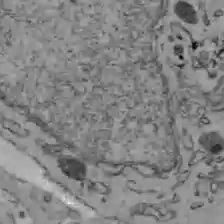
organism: C57BL Mouse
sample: Liver